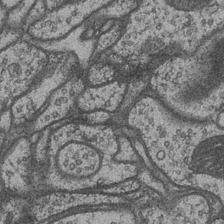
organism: Drosophila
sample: Optic medulla